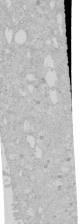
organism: Human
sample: Caco-2 cells